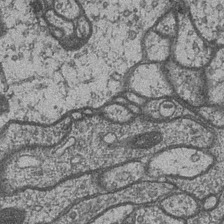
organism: Drosophila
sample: Optic medulla